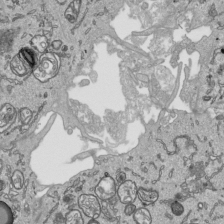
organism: Human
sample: Mitochondria in HCT116 cells